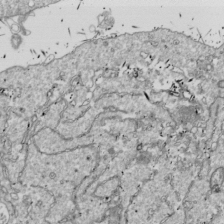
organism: Drosophila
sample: Cell division; meiosis; drosophila spermatocytes